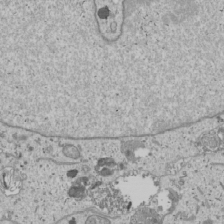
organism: Human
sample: Mitochondria in U2OS cells